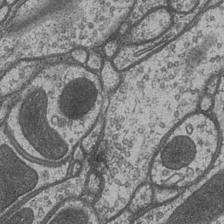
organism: Drosophila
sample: Optic medulla